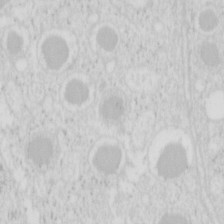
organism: Mouse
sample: Pancreas